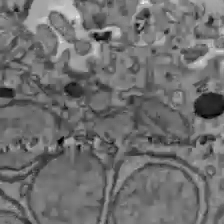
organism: C57BL Mouse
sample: Liver